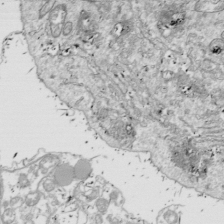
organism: Drosophila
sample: Cell division; meiosis; drosophila spermatocytes